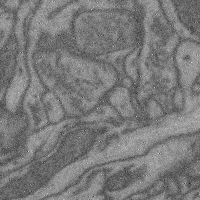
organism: Mouse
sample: Cerebral cortex